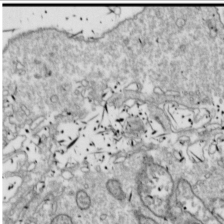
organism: Drosophila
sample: Cell division; meiosis; drosophila spermatocytes